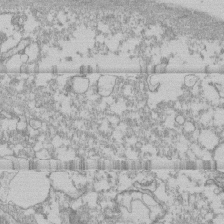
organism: Human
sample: CRL-1474